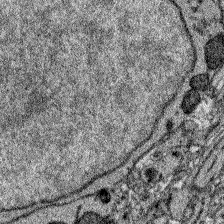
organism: Zebrafish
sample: Larval olfactory bulb